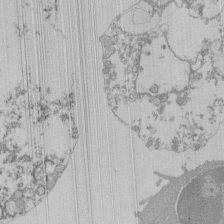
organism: Mouse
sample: Activated Pmel transgenic CD8+ T Cells